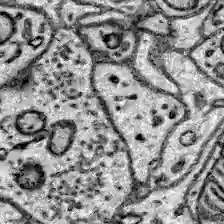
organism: Zebrafish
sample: Brain